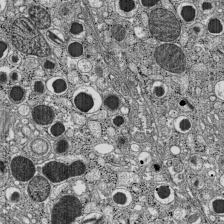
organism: C57BL Mouse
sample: Pancreatic islet